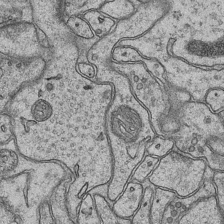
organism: Mouse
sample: CA1 Hippocampus